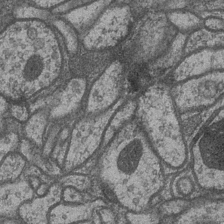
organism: Drosophila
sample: Optic medulla